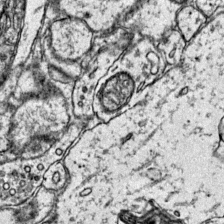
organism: Mouse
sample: Primary visual cortex